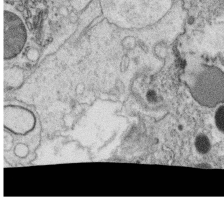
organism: C. elegans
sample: C. elegans oocyte; sperm cells